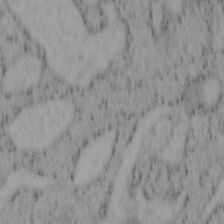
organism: Mouse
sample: OT-I killer T cells with ID8 ovarian cancer cells